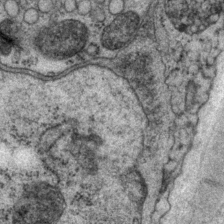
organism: P. pacificus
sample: Pharynx